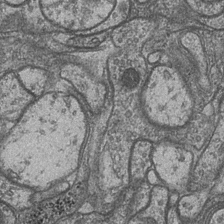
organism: Drosophila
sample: Optic medulla